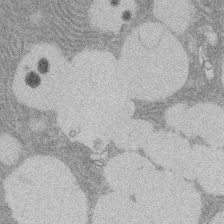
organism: Rat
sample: Salivary granule